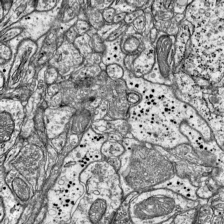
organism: Mouse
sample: Visual Cortex